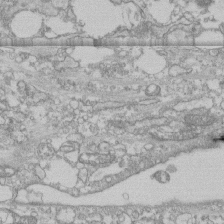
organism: Human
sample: CRL-1474